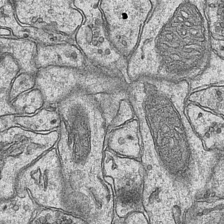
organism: Mouse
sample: CA1 Hippocampus